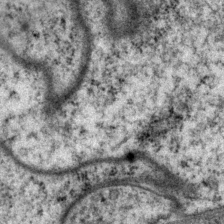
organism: P. pacificus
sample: Pharynx